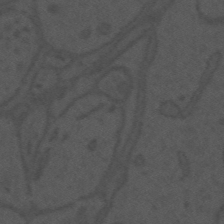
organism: Mouse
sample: Suprachiasmatic nucleus